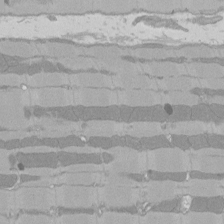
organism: Rat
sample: Left ventricle